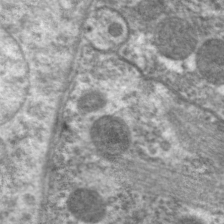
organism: C. elegans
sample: Pharynx